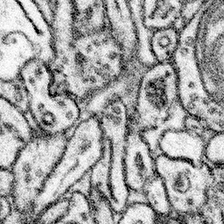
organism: Mouse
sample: Somatosensory cortex neuropil